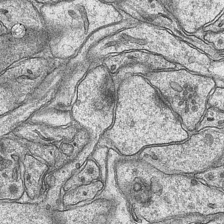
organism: Mouse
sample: CA1 Hippocampus